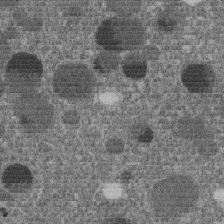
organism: C. elegans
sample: C. elegans embryo early stage